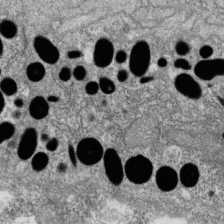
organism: Zebrafish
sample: Cilia; retinal pigment epithelium